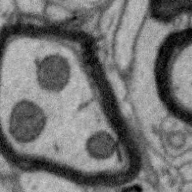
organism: Zebra finch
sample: Brain